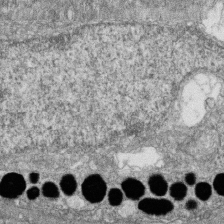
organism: Zebrafish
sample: Cilia; retinal pigment epithelium